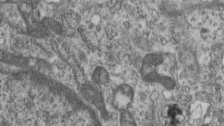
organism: Mouse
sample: Centriole in ependymal cells